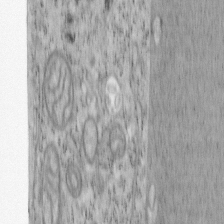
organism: Human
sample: HeLa cells